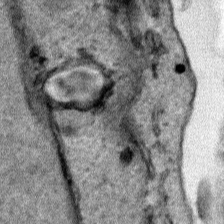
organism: Human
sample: Mitochondria in HCT116 cells